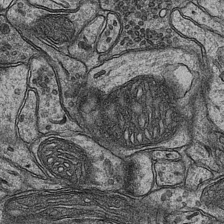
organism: Mouse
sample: CA1 Hippocampus